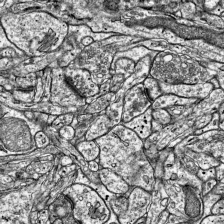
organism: Mouse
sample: Visual Cortex